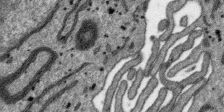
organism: Human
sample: Lung epithelial cells, uninfected (mock) control